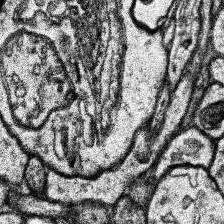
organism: Human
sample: Temporal Lobe